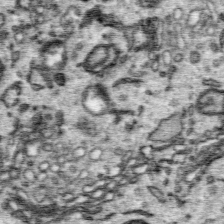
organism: Human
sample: HeLa cells